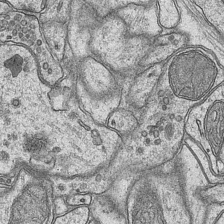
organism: Mouse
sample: CA1 Hippocampus